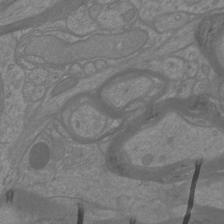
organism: Mouse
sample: Cortical neurons